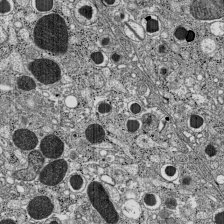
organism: C57BL Mouse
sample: Pancreatic islet